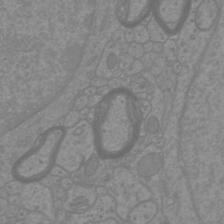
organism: Mouse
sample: Cortical neurons